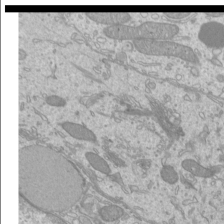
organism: Mouse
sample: Cilia; mouse epididymis